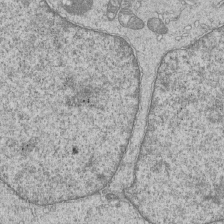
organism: Human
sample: MDA-MB-231 cells